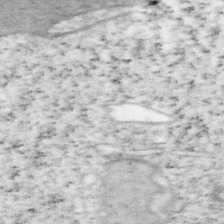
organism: Mouse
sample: OT-I killer T cells with ID8 ovarian cancer cells